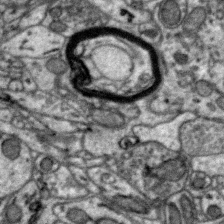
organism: Zebra finch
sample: Brain